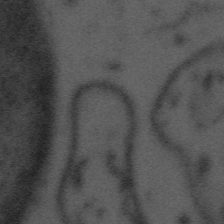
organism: Tuwongella immobilis